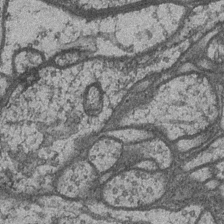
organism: Drosophila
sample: Optic medulla